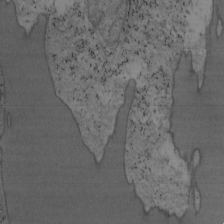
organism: Mouse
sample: OT-I killer T cells with ID8 ovarian cancer cells